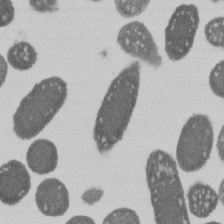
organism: E. coli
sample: Bacterial nucleoid